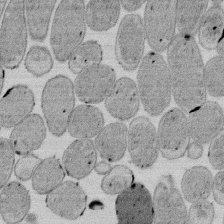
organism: E. coli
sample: Bacterial nucleoid